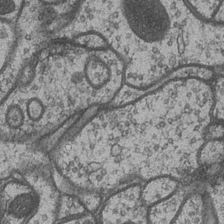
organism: Drosophila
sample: Optic medulla